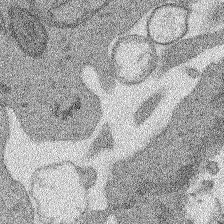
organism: Human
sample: HeLa cells